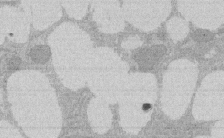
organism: Rat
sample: Salivary granule